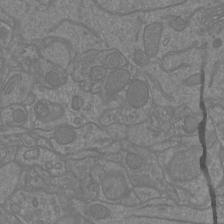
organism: Mouse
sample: Cortical neurons